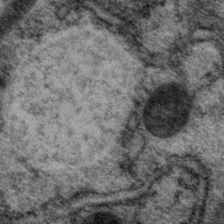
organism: P. pacificus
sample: Pharynx